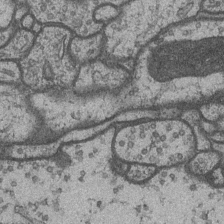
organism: Drosophila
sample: Optic medulla